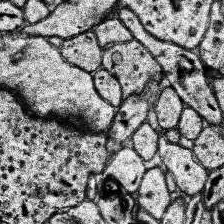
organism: Human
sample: Temporal Lobe